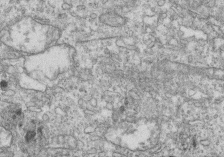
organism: Human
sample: HeLa cell HIV synapse